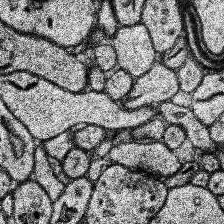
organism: Human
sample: Temporal Lobe